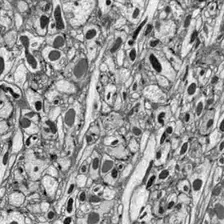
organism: Drosophila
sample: Optic lobe